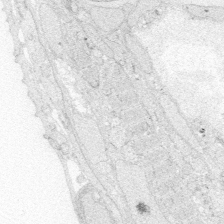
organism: Zebrafish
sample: Whole-Brain